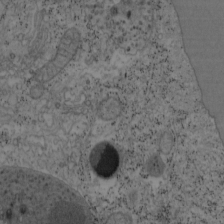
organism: Mouse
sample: OT-I killer T cells with ID8 ovarian cancer cells